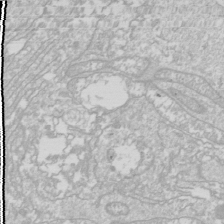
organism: Drosophila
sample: Cell division; meiosis; drosophila spermatocytes